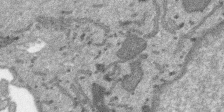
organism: Human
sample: Lung epithelial cells infected with SARS-CoV-2